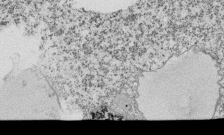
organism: Tetrahymena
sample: Cilia in tetrahymena